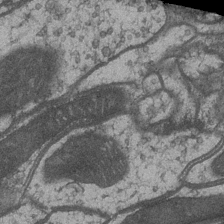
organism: Drosophila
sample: Optic medulla